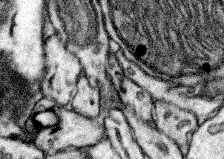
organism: Mouse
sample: Somatosensory cortex neuropil